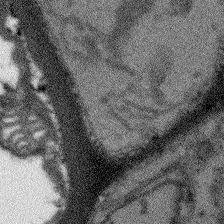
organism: Arabidopsis thaliana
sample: Root tip